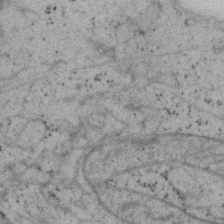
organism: Human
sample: HeLa cells